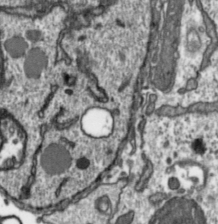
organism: Toxoplasma gondii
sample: Parasites in a vacuole inside a host cell